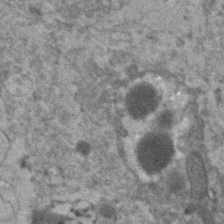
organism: Human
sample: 1205lu cells